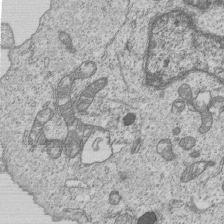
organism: Human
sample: MDA-MB-231 cells